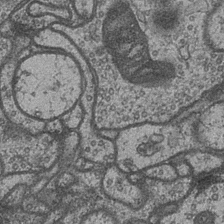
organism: Drosophila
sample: Optic medulla